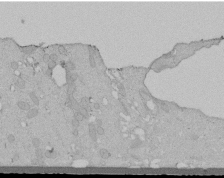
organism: Human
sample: Melanocyte Keratinocyte synapse skin construct